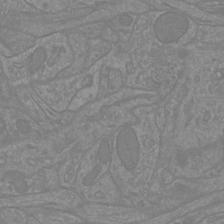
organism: Mouse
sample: Cortical neurons